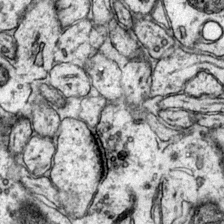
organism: Mouse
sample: Primary visual cortex